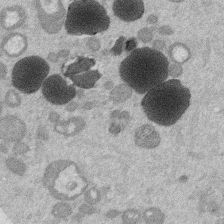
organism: Mouse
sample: Dividing mouse embryo 1 cell stage